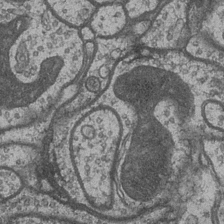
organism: Drosophila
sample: Optic medulla